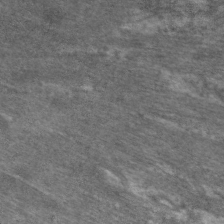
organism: C. elegans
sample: Pharynx